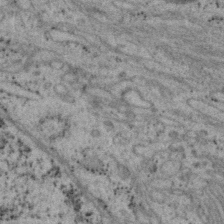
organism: Human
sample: HeLa cells